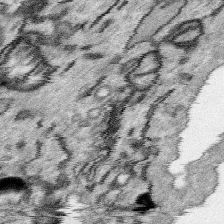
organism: Human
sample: HeLa cells